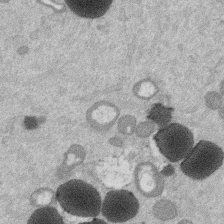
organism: Mouse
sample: Dividing mouse embryo 1 cell stage